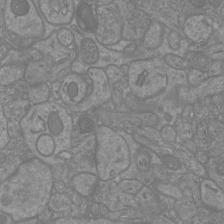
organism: Mouse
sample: Cortical neurons